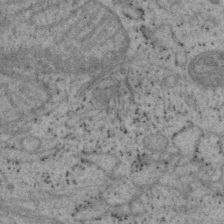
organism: Human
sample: HeLa cells